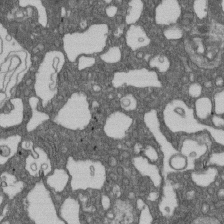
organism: Drosophila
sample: Nephrocyte